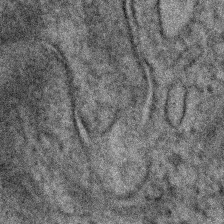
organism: Human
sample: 1205lu cells